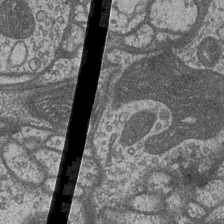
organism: Drosophila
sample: Optic medulla